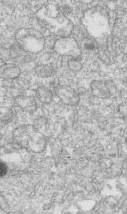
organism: Human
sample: HeLa cell HIV synapse